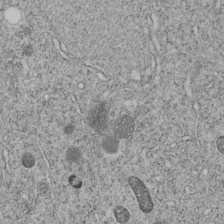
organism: C. elegans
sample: C. elegans embryo early stage